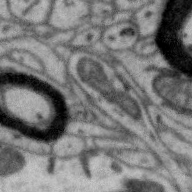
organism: Zebra finch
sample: Brain